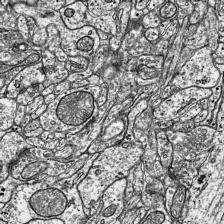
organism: Mouse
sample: Visual Cortex